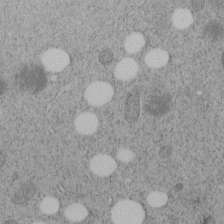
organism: C. elegans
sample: C. elegans embryo early stage